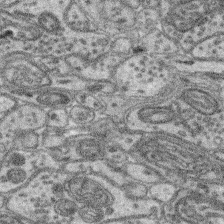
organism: Mouse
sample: Retina